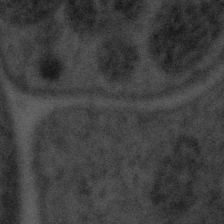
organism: Tuwongella immobilis